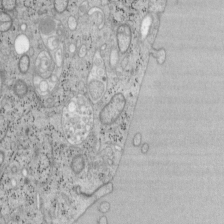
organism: Mouse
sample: OT-I killer T cells with ID8 ovarian cancer cells